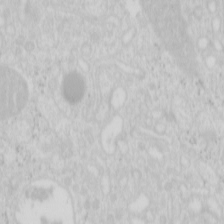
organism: Mouse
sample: Pancreas